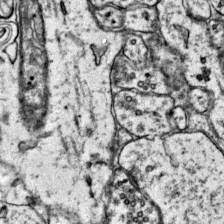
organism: Mouse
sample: Primary visual cortex